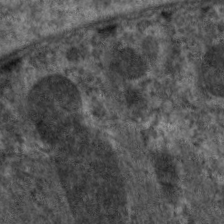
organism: C. elegans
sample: Pharynx